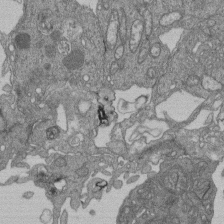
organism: Human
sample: Retinal organoid Rod and Cone cells